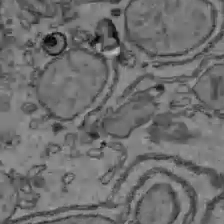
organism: C57BL Mouse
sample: Liver